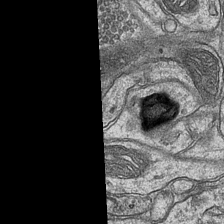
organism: Mouse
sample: CA1 Hippocampus